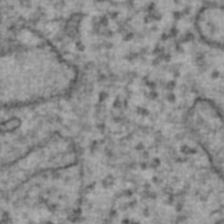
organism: Human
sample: Blood